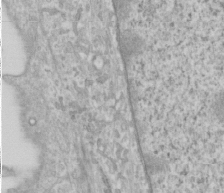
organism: Human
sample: Cilia; basal body in RPE cells